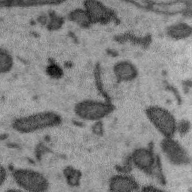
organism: Zebra finch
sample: Brain